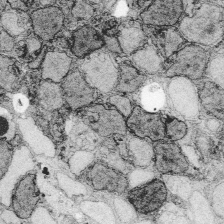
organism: Zebrafish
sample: Whole-Brain